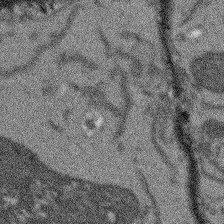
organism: Arabidopsis thaliana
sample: Root tip